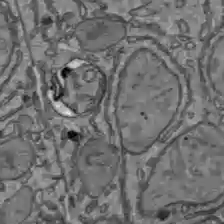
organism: C57BL Mouse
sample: Liver